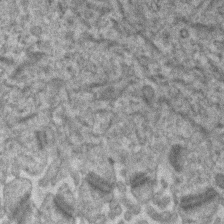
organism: Human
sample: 1205lu cells